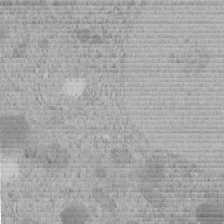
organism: C. elegans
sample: C. elegans embryo early stage